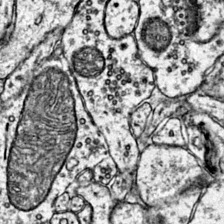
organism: Mouse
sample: Primary visual cortex